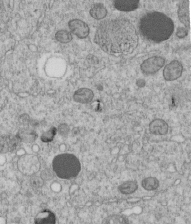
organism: C. elegans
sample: C. elegans embryo early stage